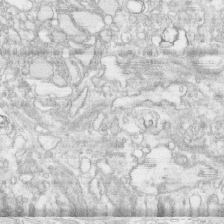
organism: Human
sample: CRL-1474